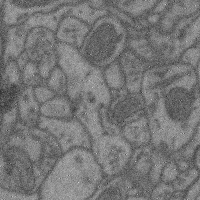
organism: Mouse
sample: Cerebral cortex